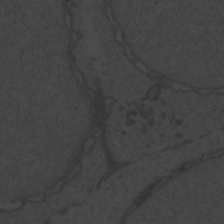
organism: Zebrafish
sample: Macrophage infected with Toxoplasma gondii